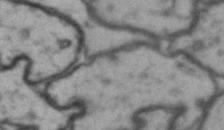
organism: Drosophila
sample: Brain